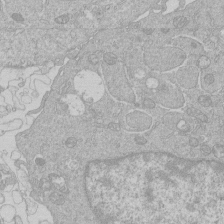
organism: Human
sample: Macrophage cells